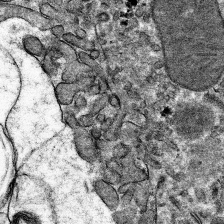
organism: Mouse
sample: Mouse hepatocytes